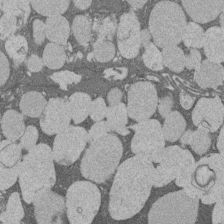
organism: Rat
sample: Salivary granule